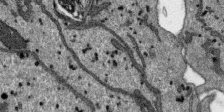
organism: Human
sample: Lung epithelial cells, uninfected (mock) control